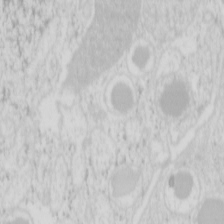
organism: Mouse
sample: Pancreas